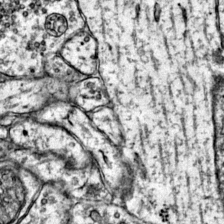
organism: Mouse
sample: Primary visual cortex